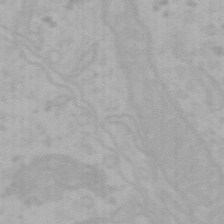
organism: Mouse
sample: Choroid plexus